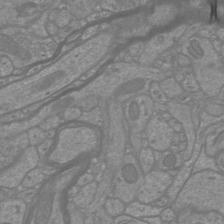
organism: Mouse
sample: Cortical neurons